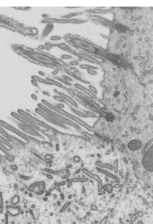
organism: Mouse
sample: Mouse epididymis efferent ductule cilia